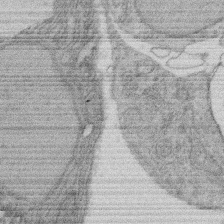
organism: Rat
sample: Salivary granule